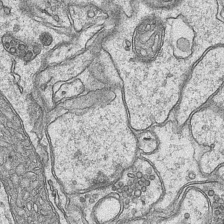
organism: Mouse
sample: CA1 Hippocampus